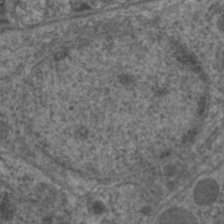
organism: C. elegans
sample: Pharynx